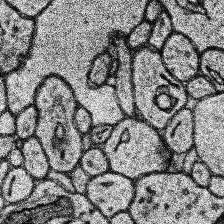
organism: Human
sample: Temporal Lobe